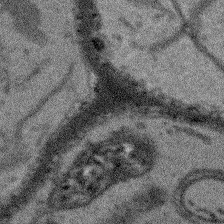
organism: Arabidopsis thaliana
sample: Root tip